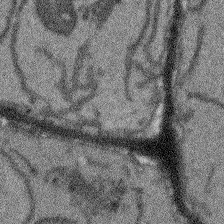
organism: Arabidopsis thaliana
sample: Root tip